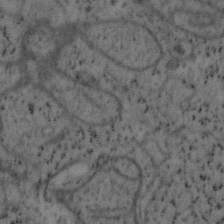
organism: Human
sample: HeLa cells